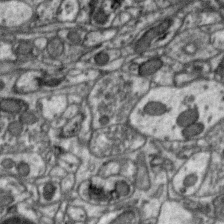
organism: Zebra finch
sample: Brain